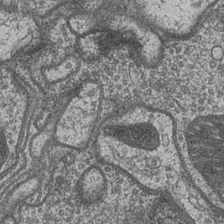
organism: Drosophila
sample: Optic medulla